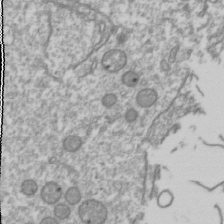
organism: Drosophila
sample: Cell division; meiosis; drosophila spermatocytes